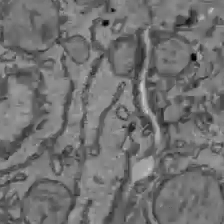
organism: C57BL Mouse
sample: Liver